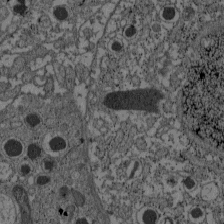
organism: C57BL Mouse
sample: Pancreatic islet